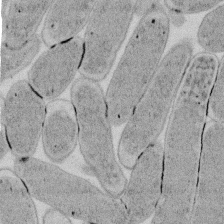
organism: E. coli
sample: Bacterial nucleoid